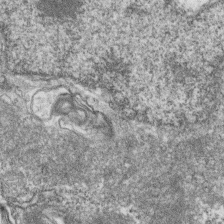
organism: Zebrafish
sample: Cilia; retinal pigment epithelium